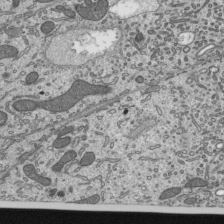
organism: Mouse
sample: Mouse epididymis efferent ductule cilia